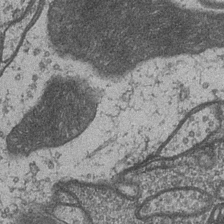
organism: Drosophila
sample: Optic medulla